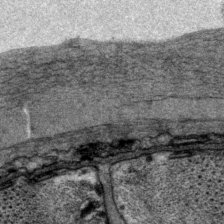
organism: P. pacificus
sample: Pharynx